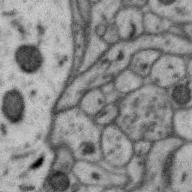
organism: Zebra finch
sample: Brain